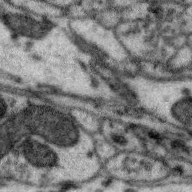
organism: Zebra finch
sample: Brain